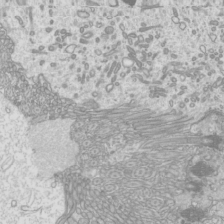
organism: Mouse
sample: Cilia; mouse epididymis